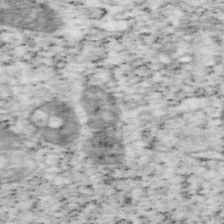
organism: Mouse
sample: OT-I killer T cells with ID8 ovarian cancer cells